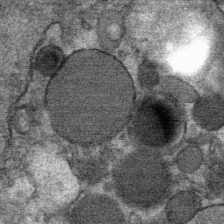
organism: Mouse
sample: Mouse Salivary gland